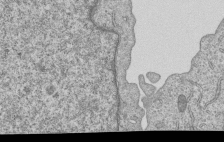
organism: Human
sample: MDA-MB-231 cells